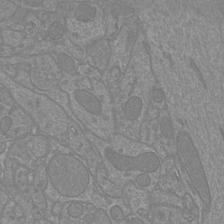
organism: Mouse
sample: Cortical neurons